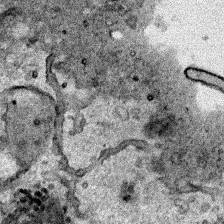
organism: Human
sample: Mitochondria in HCT116 cells